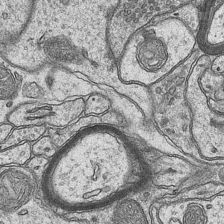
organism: Mouse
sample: CA1 Hippocampus